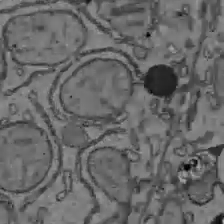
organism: C57BL Mouse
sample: Liver